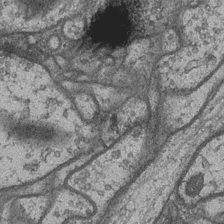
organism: Drosophila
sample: Optic medulla